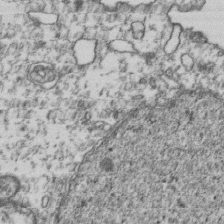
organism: Human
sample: Activated Jurkat CD4+ T cells